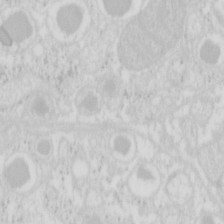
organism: Mouse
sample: Pancreas